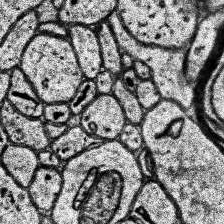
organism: Human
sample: Temporal Lobe